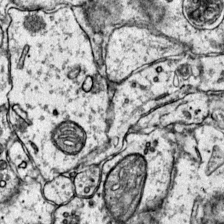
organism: Mouse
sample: Primary visual cortex